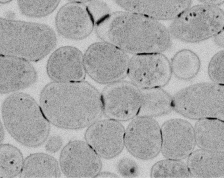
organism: E. coli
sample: Bacterial nucleoid